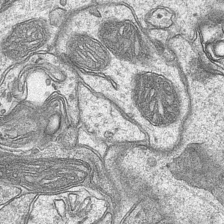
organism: Mouse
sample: CA1 Hippocampus